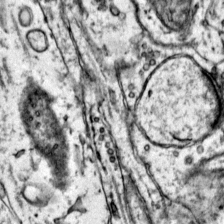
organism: Mouse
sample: Primary visual cortex